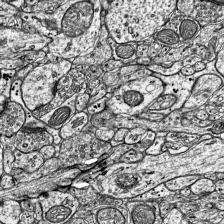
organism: Mouse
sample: Visual Cortex